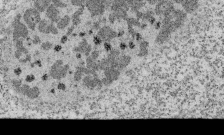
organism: Tetrahymena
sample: Cilia in tetrahymena